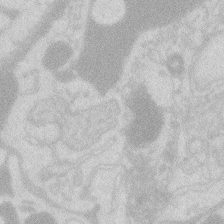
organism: Zebrafish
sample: Macrophage